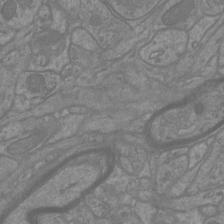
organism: Mouse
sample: Cortical neurons